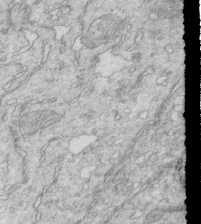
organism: Mouse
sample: Multiciliated cells